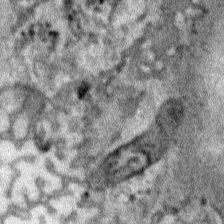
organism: Human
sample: Mitochondria in HCT116 cells